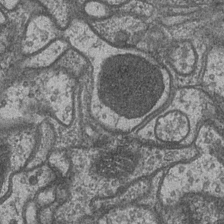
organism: Drosophila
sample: Optic medulla